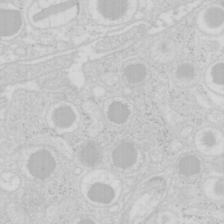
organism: Mouse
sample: Pancreas